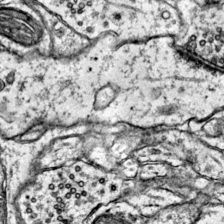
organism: Mouse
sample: Primary visual cortex